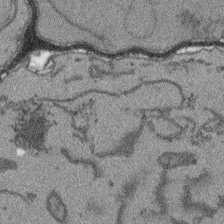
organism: Arabidopsis thaliana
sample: Root tip